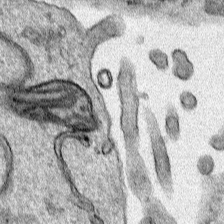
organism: Human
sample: Mitochondria in HCT116 cells